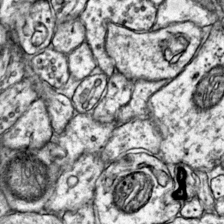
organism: Mouse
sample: Primary visual cortex